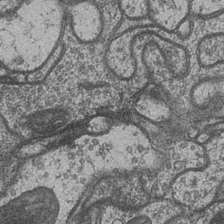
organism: Drosophila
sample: Optic medulla